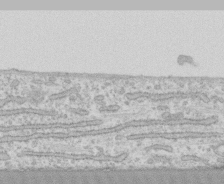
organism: Human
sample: CRL-1474